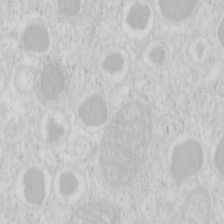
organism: Mouse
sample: Pancreas